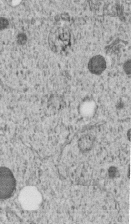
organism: C. elegans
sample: C. elegans embryo early stage